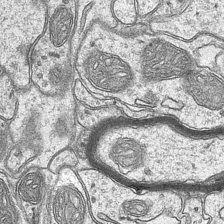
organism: Mouse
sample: CA1 Hippocampus